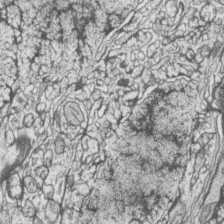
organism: Zebrafish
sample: synaptic ribbons in rod cells and cone cells